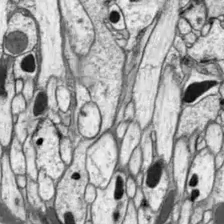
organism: Drosophila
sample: Optic lobe